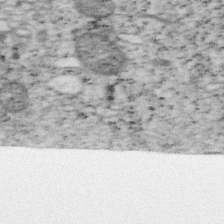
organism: Mouse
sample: OT-I killer T cells with ID8 ovarian cancer cells